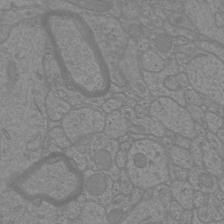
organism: Mouse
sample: Cortical neurons